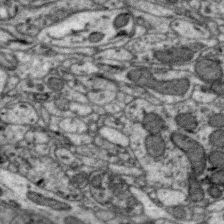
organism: Zebra finch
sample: Brain